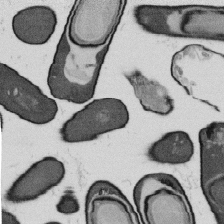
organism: B. subtilis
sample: Bacterial spore